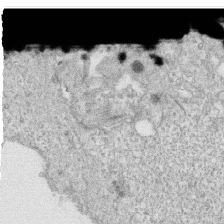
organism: Human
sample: HeLa cell HIV synapse